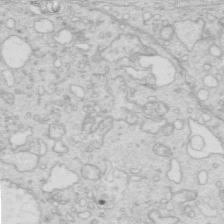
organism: Mouse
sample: Multiciliated cells